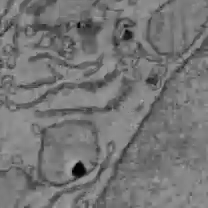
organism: C57BL Mouse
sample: Liver